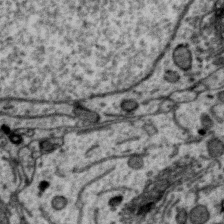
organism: Zebra finch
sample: Brain